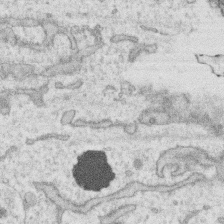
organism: Human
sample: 1205lu cells